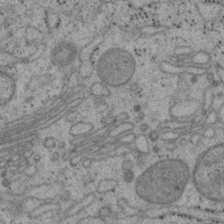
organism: Human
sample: HeLa cells